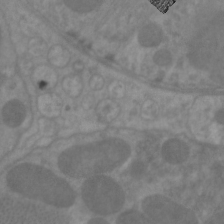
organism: C. elegans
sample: Pharynx